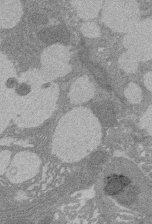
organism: Rat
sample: Salivary granule